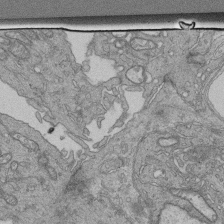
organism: Human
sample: Retinal organoid Rod and Cone cells